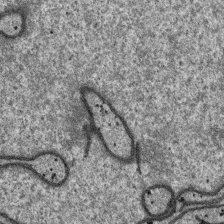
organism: Human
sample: Lung epithelial cells, uninfected (mock) control